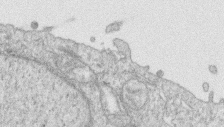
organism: Human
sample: HeLa cell HIV synapse